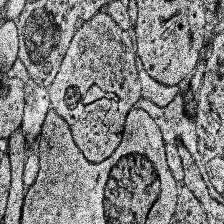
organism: Human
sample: Temporal Lobe